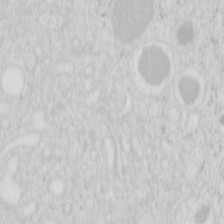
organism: Mouse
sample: Pancreas